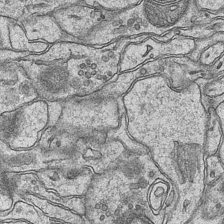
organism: Mouse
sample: CA1 Hippocampus